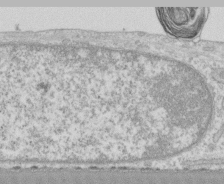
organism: Human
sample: CRL-1474